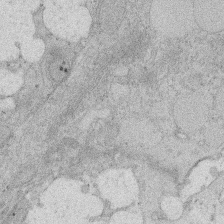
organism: Rat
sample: Salivary granule